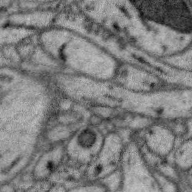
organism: Zebra finch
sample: Brain